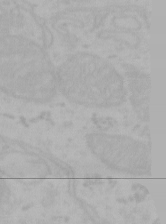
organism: Mouse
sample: Choroid plexus